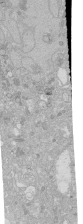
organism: Human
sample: Caco-2 cells